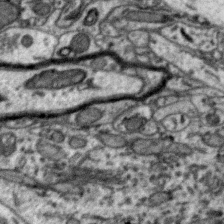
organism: Zebra finch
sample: Brain